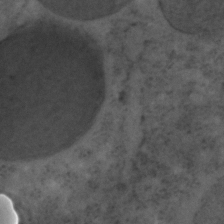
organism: C. elegans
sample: C. elegans embryo